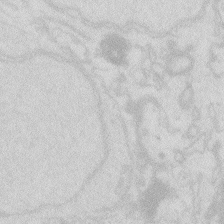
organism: Zebrafish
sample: Macrophage